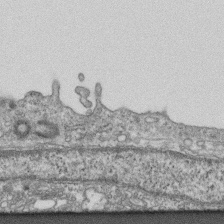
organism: Mouse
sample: Centriole in ependymal cells